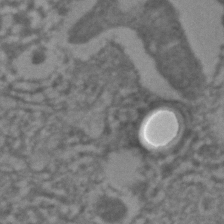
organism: C. elegans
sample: C. elegans embryo